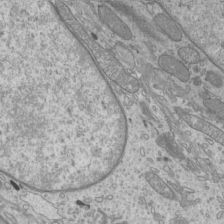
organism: Mouse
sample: Cilia; mouse epididymis